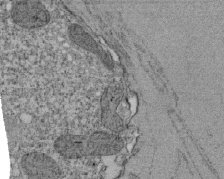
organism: Tetrahymena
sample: Cilia in tetrahymena